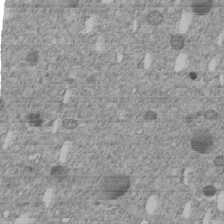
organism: C. elegans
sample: C. elegans embryo early stage